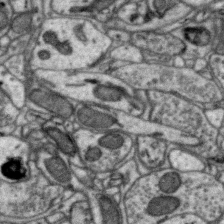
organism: Zebra finch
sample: Brain